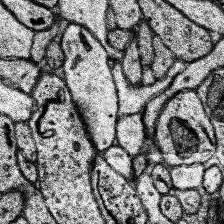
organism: Human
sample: Temporal Lobe